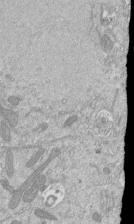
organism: Mouse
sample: ED-1 cell nuclei; centrioles